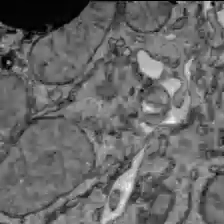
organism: C57BL Mouse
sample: Liver